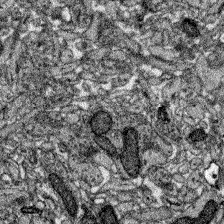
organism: Zebrafish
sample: Larval olfactory bulb